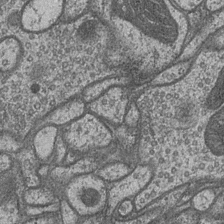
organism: Drosophila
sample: Optic medulla